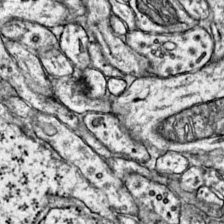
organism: Mouse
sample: Primary visual cortex